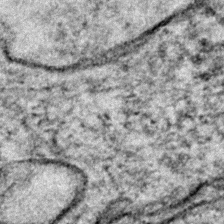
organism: Zebrafish